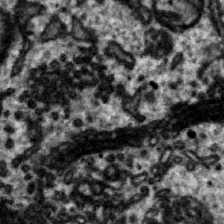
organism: Human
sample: HeLa cells